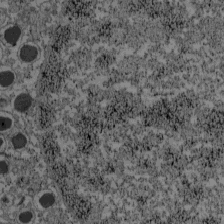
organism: C57BL Mouse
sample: Pancreatic islet